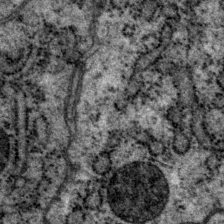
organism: P. pacificus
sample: Pharynx